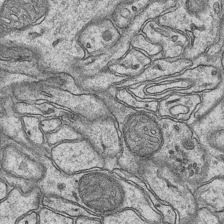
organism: Mouse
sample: CA1 Hippocampus